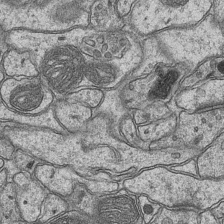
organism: Mouse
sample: CA1 Hippocampus